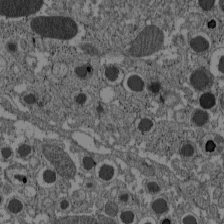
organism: C57BL Mouse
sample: Pancreatic islet